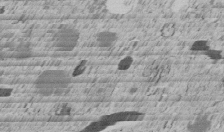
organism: C. elegans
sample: C. elegans embryo early stage